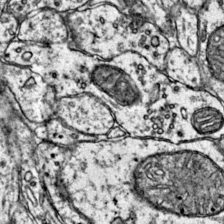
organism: Mouse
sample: Primary visual cortex